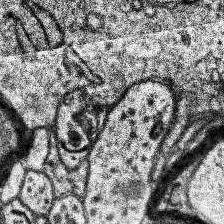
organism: Human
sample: Temporal Lobe